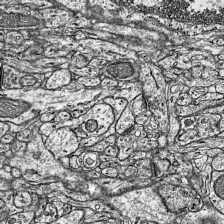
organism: Mouse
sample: Visual Cortex